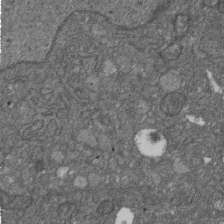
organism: Drosophila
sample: Nephrocyte